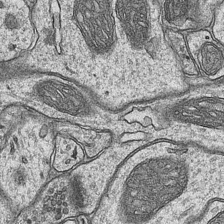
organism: Mouse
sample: CA1 Hippocampus